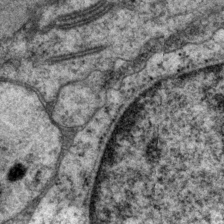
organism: P. pacificus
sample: Pharynx